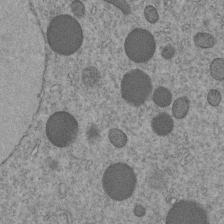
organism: C. elegans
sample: C. elegans embryo early stage